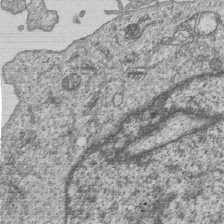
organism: Human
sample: MDA-MB-231 cells